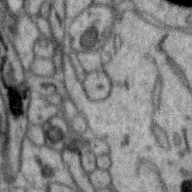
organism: Zebra finch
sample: Brain